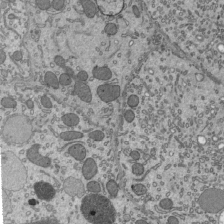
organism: Mouse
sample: Mouse epididymis efferent ductule cilia